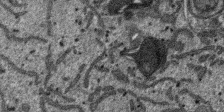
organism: Human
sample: Lung epithelial cells infected with SARS-CoV-2